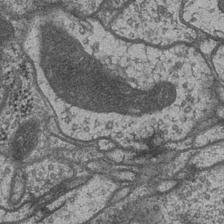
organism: Drosophila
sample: Optic medulla